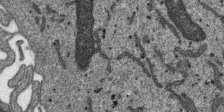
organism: Human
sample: Lung epithelial cells infected with SARS-CoV-2